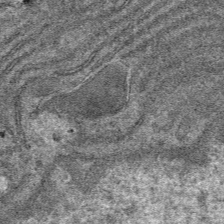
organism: Mouse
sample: Mouse hepatocytes